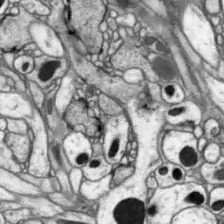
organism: Drosophila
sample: Optic lobe